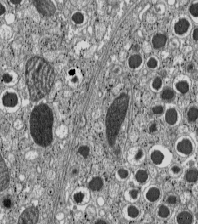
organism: C57BL Mouse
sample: Pancreatic islet